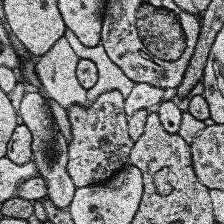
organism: Human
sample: Temporal Lobe